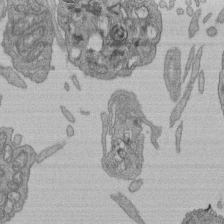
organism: Human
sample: Retinal organoid Rod and Cone cells